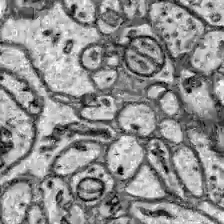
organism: Zebrafish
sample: Brain